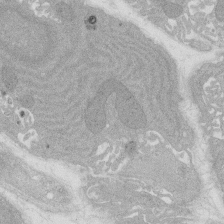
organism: Rat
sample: Salivary granule